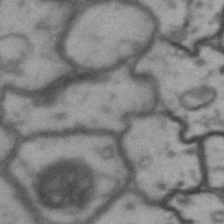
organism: Drosophila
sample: Brain